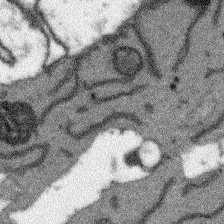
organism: Arabidopsis thaliana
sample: Root tip